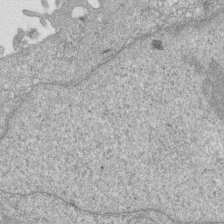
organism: Human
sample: HeLa cell HIV synapse